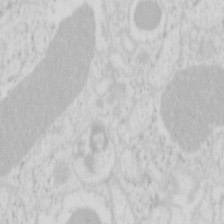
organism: Mouse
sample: Pancreas